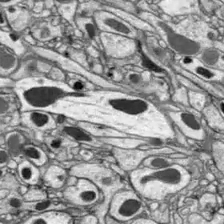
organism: Drosophila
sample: Optic lobe